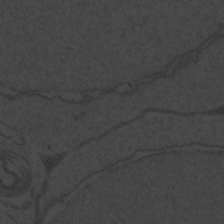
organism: Zebrafish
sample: Macrophage infected with Toxoplasma gondii